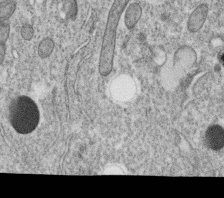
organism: C. elegans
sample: C. elegans oocyte; sperm cells